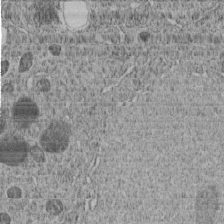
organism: C. elegans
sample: C. elegans embryo early stage